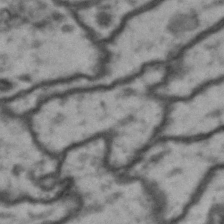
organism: Drosophila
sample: Brain